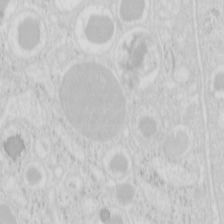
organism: Mouse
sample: Pancreas